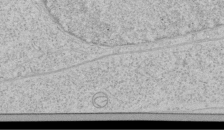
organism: Human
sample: Mitochondria in HCT116 cells